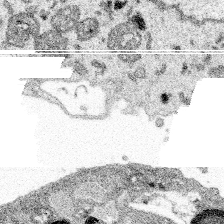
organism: Spongilla lacustris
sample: Multiple